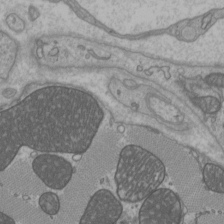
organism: C57BL Mouse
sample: Heart